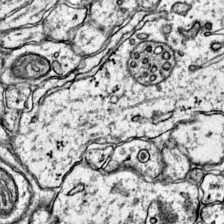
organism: Mouse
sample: Primary visual cortex